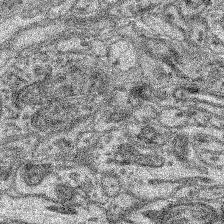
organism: Mouse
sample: Retina